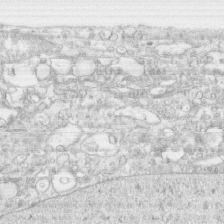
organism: Human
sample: CRL-1474